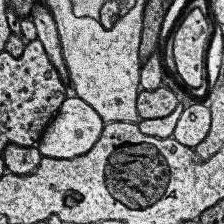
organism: Human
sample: Temporal Lobe